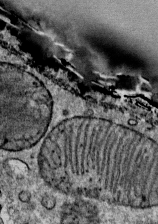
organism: Mouse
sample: Mouse Salivary gland